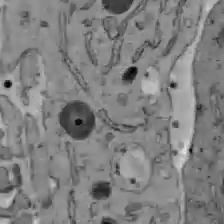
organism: C57BL Mouse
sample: Liver